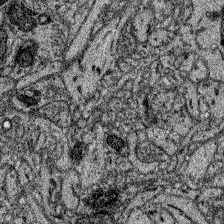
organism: Zebrafish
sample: Larval olfactory bulb